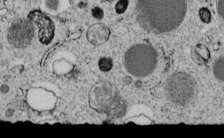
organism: C. elegans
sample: C. elegans embryo early stage